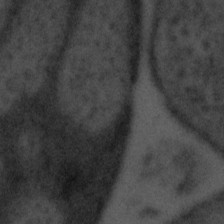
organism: Tuwongella immobilis